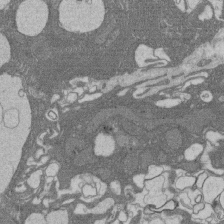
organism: Rat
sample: Salivary granule